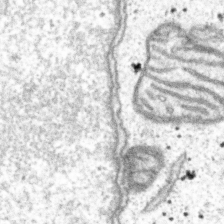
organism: Human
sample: HeLa cells